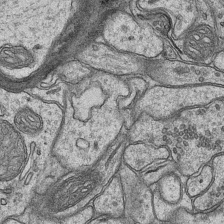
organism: Mouse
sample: CA1 Hippocampus